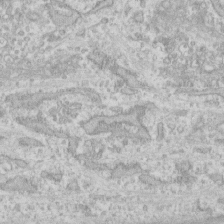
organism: Human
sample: Fibroblast cells